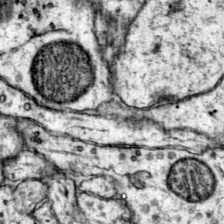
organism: Mouse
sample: Primary visual cortex